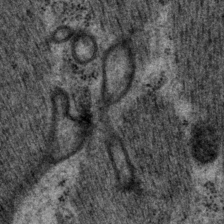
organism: P. pacificus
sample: Pharynx